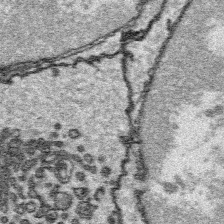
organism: Platynereis dumerilii